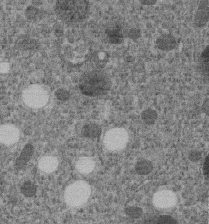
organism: C. elegans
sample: C. elegans embryo early stage